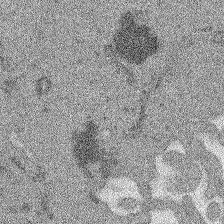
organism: Human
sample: HeLa cells